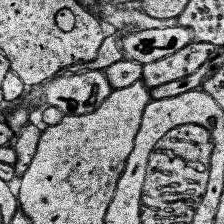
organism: Human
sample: Temporal Lobe